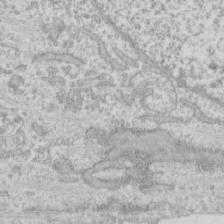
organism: Human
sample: Fibroblast cells